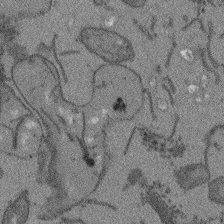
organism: Arabidopsis thaliana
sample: Root tip